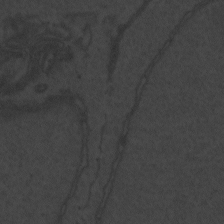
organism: Zebrafish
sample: Macrophage infected with Toxoplasma gondii